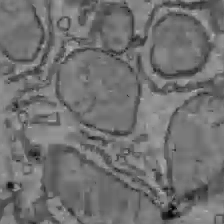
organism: C57BL Mouse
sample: Liver